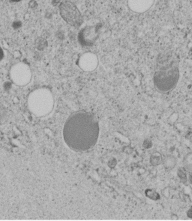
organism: C. elegans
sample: C. elegans embryo early stage